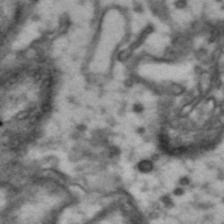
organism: Drosophila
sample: Brain